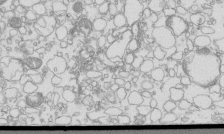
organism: Mouse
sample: Macrophages